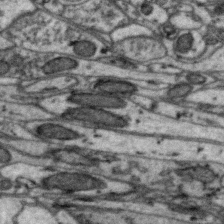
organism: Zebra finch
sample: Brain